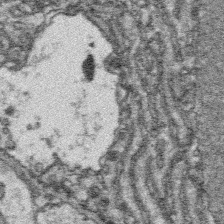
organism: Platynereis dumerilii